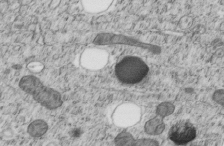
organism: C. elegans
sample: C. elegans embryo early stage